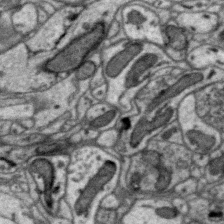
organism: Zebra finch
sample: Brain